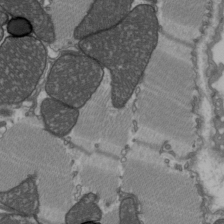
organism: C57BL Mouse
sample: Heart